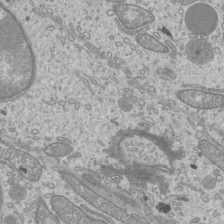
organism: Mouse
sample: Cilia; mouse epididymis